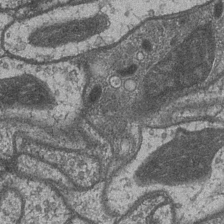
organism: Drosophila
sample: Optic medulla